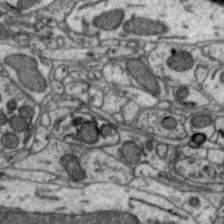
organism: Zebra finch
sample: Brain